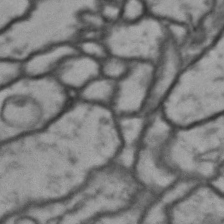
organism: Drosophila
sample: Brain